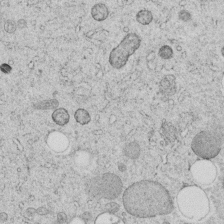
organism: C. elegans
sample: C. elegans embryo early stage